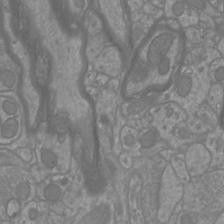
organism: Mouse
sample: Cortical neurons